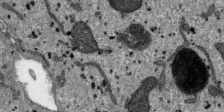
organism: Human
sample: Lung epithelial cells, uninfected (mock) control